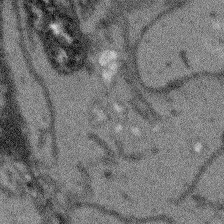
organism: Arabidopsis thaliana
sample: Root tip